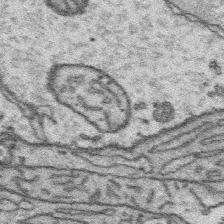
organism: Platynereis dumerilii